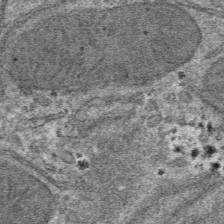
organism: Mouse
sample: Mouse hepatocytes